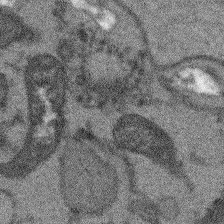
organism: Arabidopsis thaliana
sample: Root tip